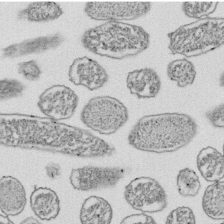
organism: E. coli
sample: Bacterial nucleoid